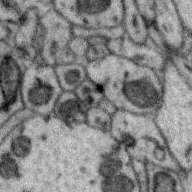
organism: Zebra finch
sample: Brain